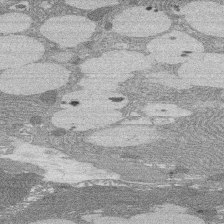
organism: Rat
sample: Salivary granule